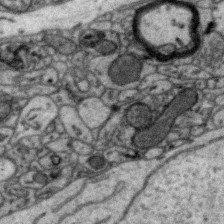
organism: Zebra finch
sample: Brain